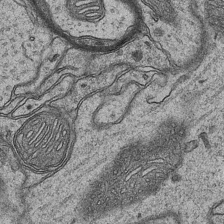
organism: Mouse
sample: CA1 Hippocampus